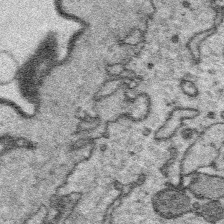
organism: Platynereis dumerilii